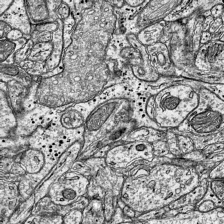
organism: Mouse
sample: Visual Cortex